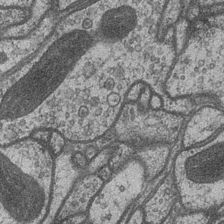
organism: Drosophila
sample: Optic medulla